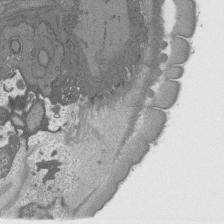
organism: C. elegans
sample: AFD neurons C. elegans